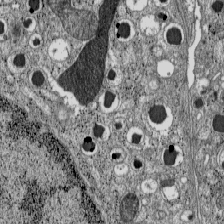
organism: C57BL Mouse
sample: Pancreatic islet